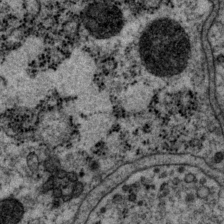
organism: P. pacificus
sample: Pharynx